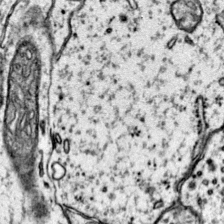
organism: Mouse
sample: Primary visual cortex